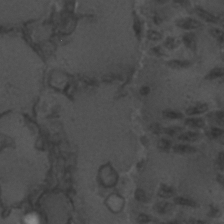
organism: C. elegans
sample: C. elegans embryo